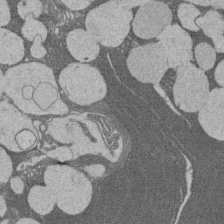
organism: Rat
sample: Salivary granule